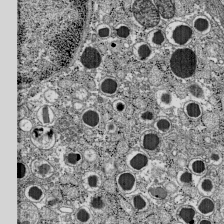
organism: C57BL Mouse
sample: Pancreatic islet